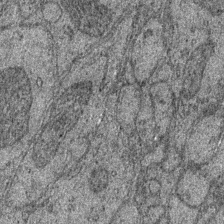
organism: Drosophila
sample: Optic medulla